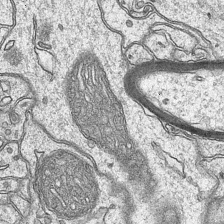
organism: Mouse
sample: CA1 Hippocampus